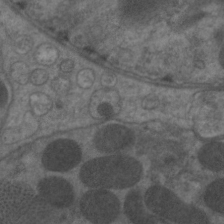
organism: C. elegans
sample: Pharynx